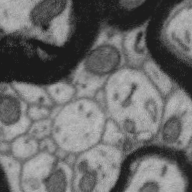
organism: Zebra finch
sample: Brain